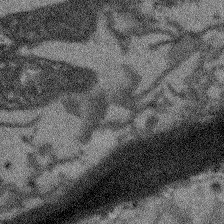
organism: Arabidopsis thaliana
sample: Root tip